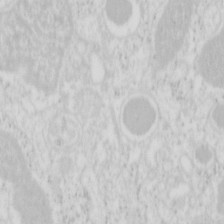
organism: Mouse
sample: Pancreas